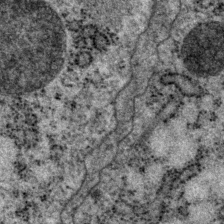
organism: P. pacificus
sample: Pharynx